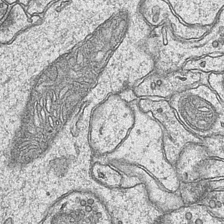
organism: Mouse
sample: CA1 Hippocampus